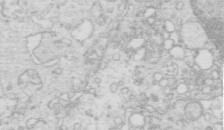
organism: Mouse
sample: Multiciliated cells